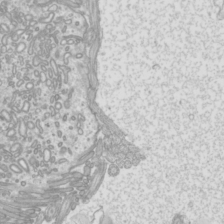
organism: Mouse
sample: Cilia; mouse epididymis